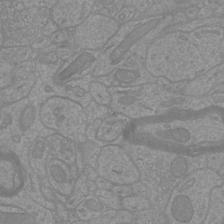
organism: Mouse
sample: Cortical neurons